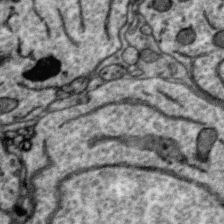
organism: Zebra finch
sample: Brain